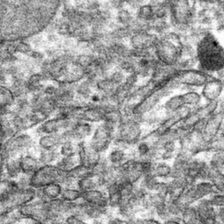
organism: Mouse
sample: Mouse hepatocytes